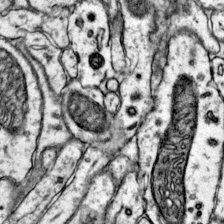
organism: Mouse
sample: Primary visual cortex